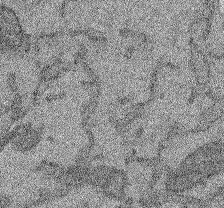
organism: Human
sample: HeLa cells